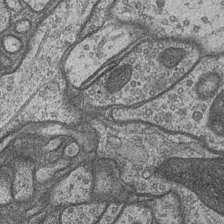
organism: Drosophila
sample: Optic medulla